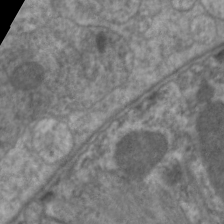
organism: C. elegans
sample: Pharynx